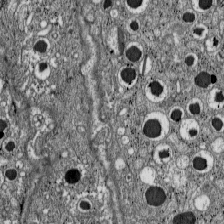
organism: C57BL Mouse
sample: Pancreatic islet